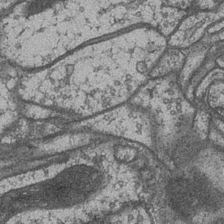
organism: Drosophila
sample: Optic medulla